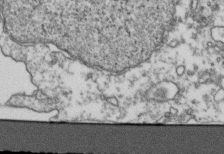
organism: Human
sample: Activated Jurkat CD4+ T cells